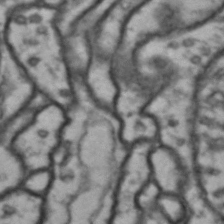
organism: Drosophila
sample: Brain